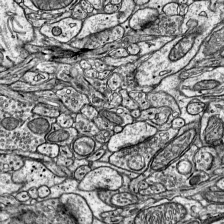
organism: Mouse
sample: Visual Cortex